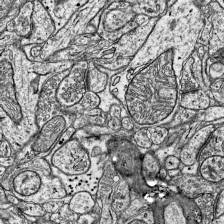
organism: Mouse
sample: Visual Cortex